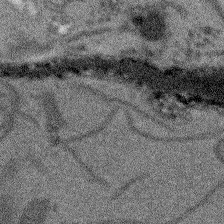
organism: Arabidopsis thaliana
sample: Root tip